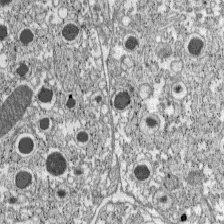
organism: C57BL Mouse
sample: Pancreatic islet